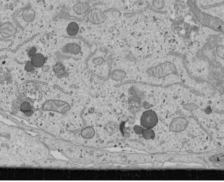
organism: Human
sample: Mitochondria in U2OS cells